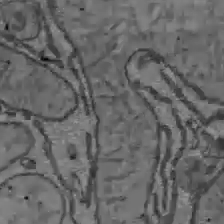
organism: C57BL Mouse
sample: Liver